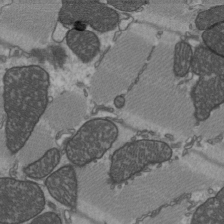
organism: C57BL Mouse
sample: Heart